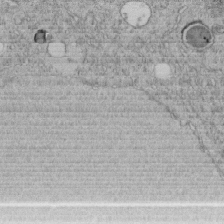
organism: C. elegans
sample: C. elegans embryo early stage